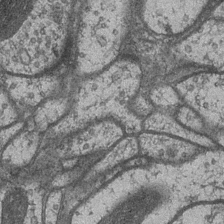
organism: Drosophila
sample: Optic medulla